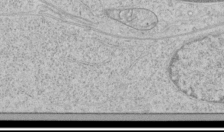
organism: Human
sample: Mitochondria in HCT116 cells